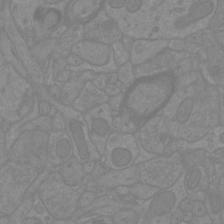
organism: Mouse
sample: Cortical neurons